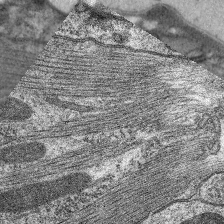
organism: C. elegans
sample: Pharynx